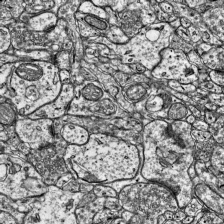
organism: Mouse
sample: Visual Cortex